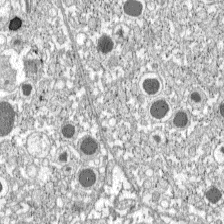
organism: C57BL Mouse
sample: Pancreatic islet